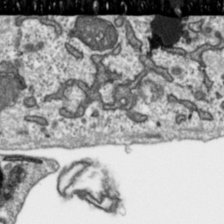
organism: Toxoplasma gondii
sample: Parasites in a vacuole inside a host cell